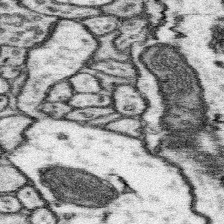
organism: Mouse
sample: Somatosensory cortex neuropil